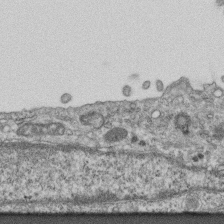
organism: Mouse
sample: Centriole in ependymal cells